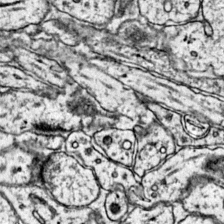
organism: Mouse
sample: Primary visual cortex